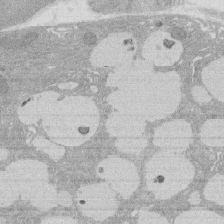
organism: Rat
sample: Salivary granule